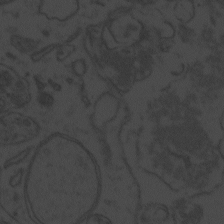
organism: Zebrafish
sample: Macrophage infected with Toxoplasma gondii